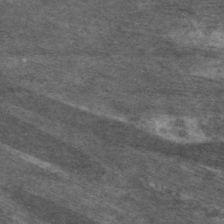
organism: C. elegans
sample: Pharynx